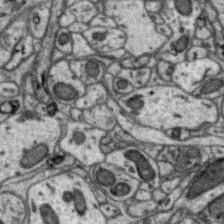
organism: Zebra finch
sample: Brain